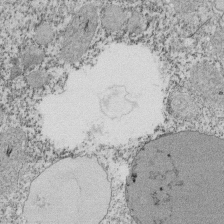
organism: Tetrahymena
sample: Cilia in tetrahymena